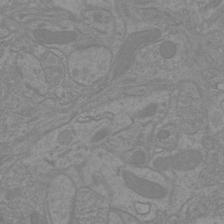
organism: Mouse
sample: Cortical neurons